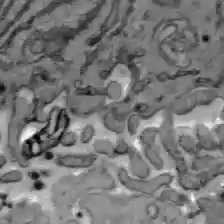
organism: C57BL Mouse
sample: Liver